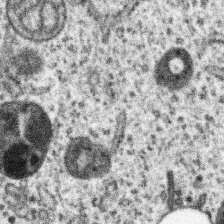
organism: Human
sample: HeLa cells